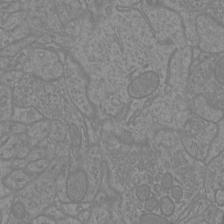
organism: Mouse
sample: Cortical neurons